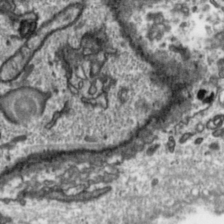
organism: Toxoplasma gondii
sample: Parasites in a vacuole inside a host cell